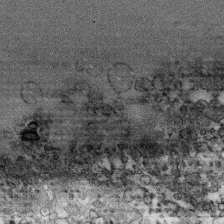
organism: Human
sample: CRL-1474